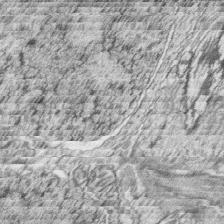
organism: Zebrafish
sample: synaptic ribbons in rod cells and cone cells